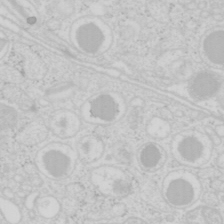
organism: Mouse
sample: Pancreas